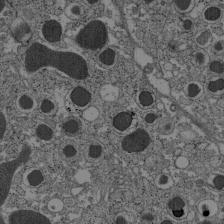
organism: C57BL Mouse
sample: Pancreatic islet